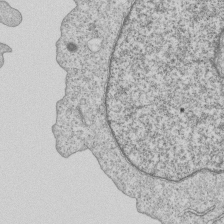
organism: Human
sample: MDA-MB-231 cells